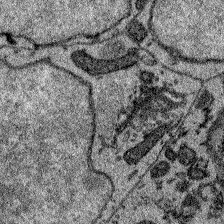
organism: Zebrafish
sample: Larval olfactory bulb